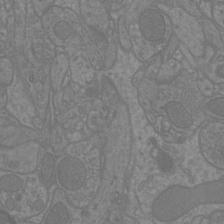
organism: Mouse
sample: Cortical neurons